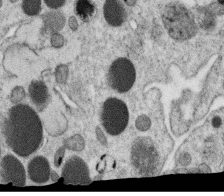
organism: C. elegans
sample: C. elegans oocyte; sperm cells